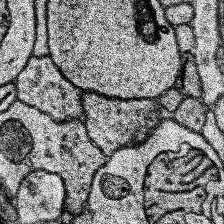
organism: Human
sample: Temporal Lobe